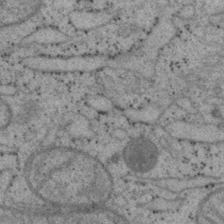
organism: Human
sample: HeLa cells